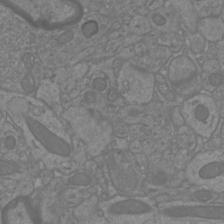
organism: Mouse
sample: Cortical neurons